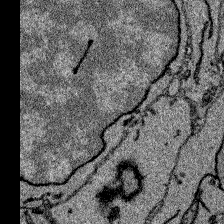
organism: Zebrafish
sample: Larval olfactory bulb